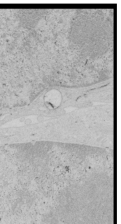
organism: Human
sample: Mitochondria in HCT116 cells